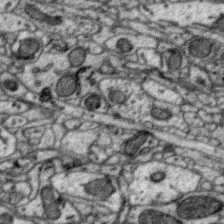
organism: Zebra finch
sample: Brain